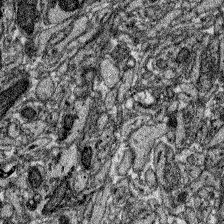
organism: Zebrafish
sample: Larval olfactory bulb